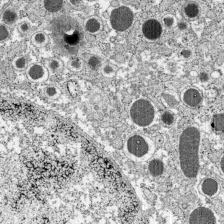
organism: C57BL Mouse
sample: Pancreatic islet